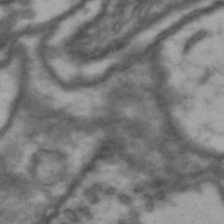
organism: Drosophila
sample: Brain